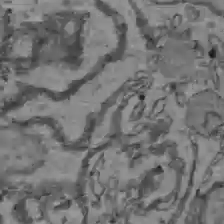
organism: C57BL Mouse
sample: Liver